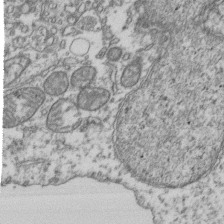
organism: Human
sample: Activated Jurkat CD4+ T cells